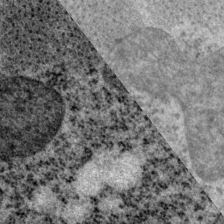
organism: P. pacificus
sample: Pharynx